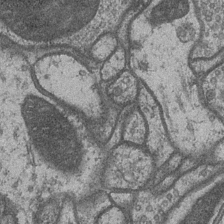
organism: Drosophila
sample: Optic medulla